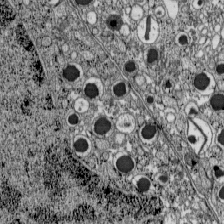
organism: C57BL Mouse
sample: Pancreatic islet